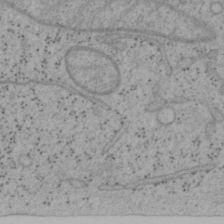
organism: Human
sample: HeLa cells